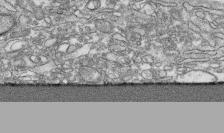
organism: Human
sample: CRL-1474